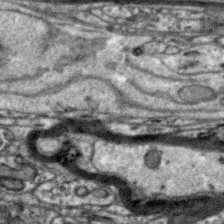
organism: Zebra finch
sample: Brain